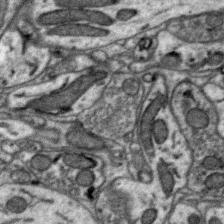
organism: Zebra finch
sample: Brain